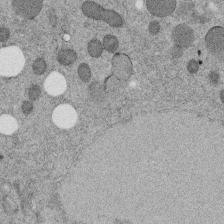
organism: C. elegans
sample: C. elegans embryo early stage